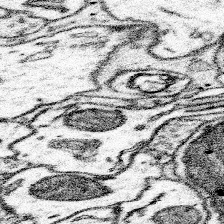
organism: Mouse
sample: Somatosensory cortex neuropil